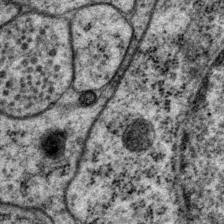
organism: P. pacificus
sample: Pharynx